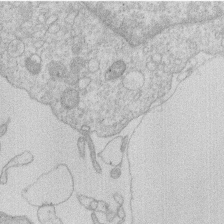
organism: Human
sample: Macrophage cells